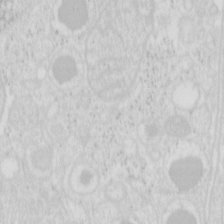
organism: Mouse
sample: Pancreas